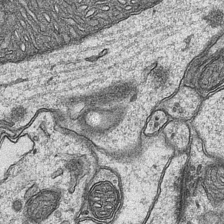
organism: Mouse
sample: CA1 Hippocampus